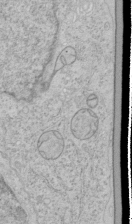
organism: Human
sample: Mitochondria in HCT116 cells